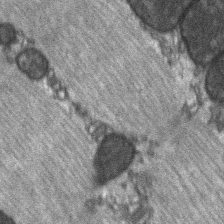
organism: C57BL Mouse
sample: Soleus